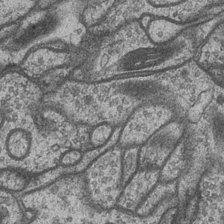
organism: Drosophila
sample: Optic medulla